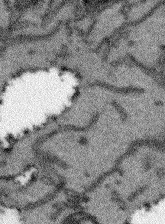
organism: Arabidopsis thaliana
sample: Root tip